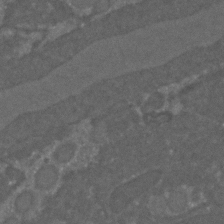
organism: C. elegans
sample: C. elegans embryo